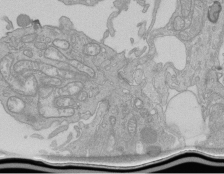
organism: Human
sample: Retinal organoid Rod and Cone cells